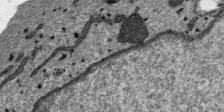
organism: Human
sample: Lung epithelial cells, uninfected (mock) control